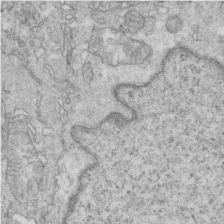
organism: Mouse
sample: Multiciliated cells